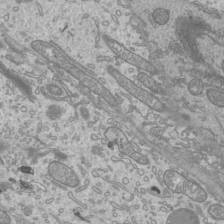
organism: Mouse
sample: Cilia; mouse epididymis